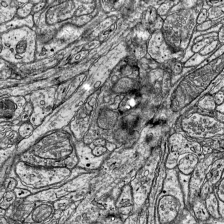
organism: Mouse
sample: Visual Cortex